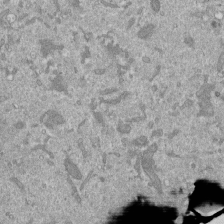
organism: Mouse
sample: ED-1 cell nuclei; centrioles